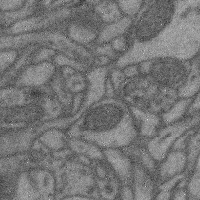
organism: Mouse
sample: Cerebral cortex